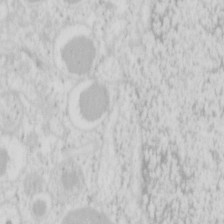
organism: Mouse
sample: Pancreas